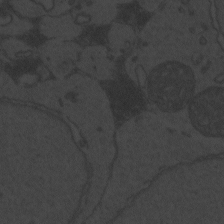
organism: Zebrafish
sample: Macrophage infected with Toxoplasma gondii